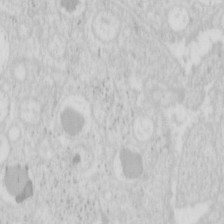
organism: Mouse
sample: Pancreas